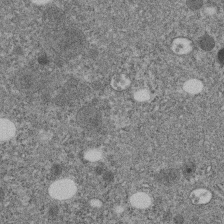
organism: C. elegans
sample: C. elegans embryo early stage